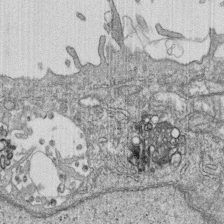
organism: Human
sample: HeLa cell HIV synapse